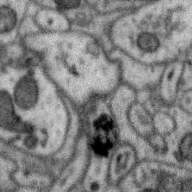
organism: Zebra finch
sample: Brain